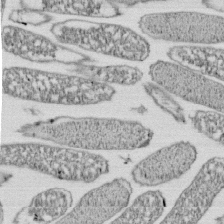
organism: E. coli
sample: Bacterial nucleoid